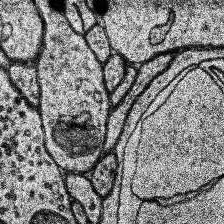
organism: Human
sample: Temporal Lobe